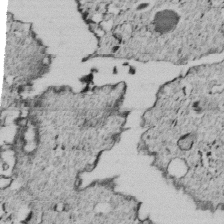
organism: C. elegans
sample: C. elegans embryo early stage